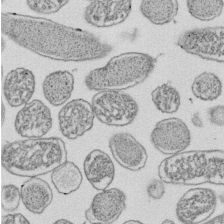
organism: E. coli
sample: Bacterial nucleoid